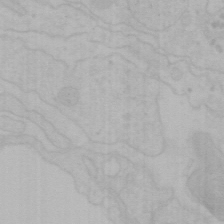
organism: Mouse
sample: Choroid plexus